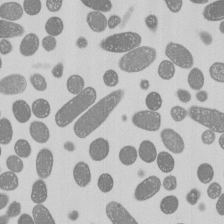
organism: E. coli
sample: Bacterial nucleoid